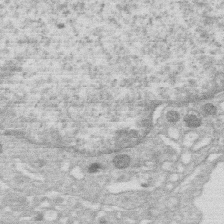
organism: Human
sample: Macrophage cells